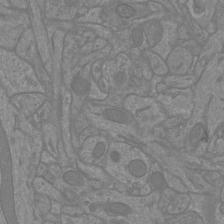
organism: Mouse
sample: Cortical neurons